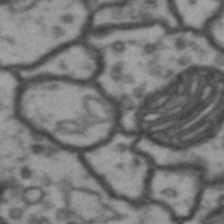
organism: Drosophila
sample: Brain